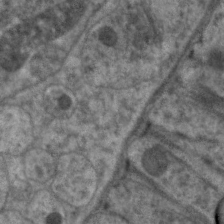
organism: C. elegans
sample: Pharynx